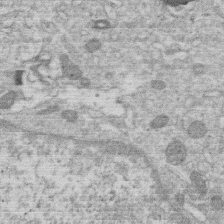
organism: Human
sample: Macrophage cells